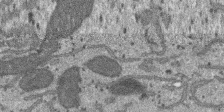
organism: Human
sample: Lung epithelial cells infected with SARS-CoV-2